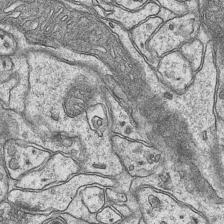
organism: Mouse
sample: CA1 Hippocampus